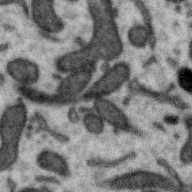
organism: Zebra finch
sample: Brain